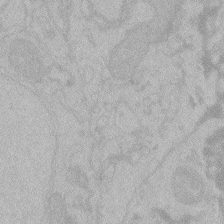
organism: Zebrafish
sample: Macrophage infected with Toxoplasma gondii